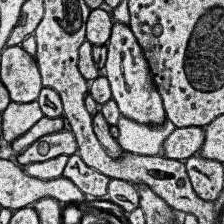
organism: Human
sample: Temporal Lobe